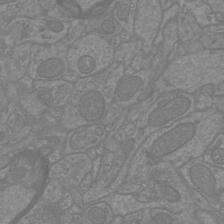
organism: Mouse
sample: Cortical neurons